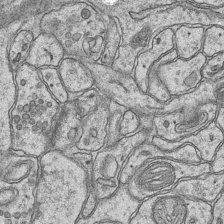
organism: Mouse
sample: CA1 Hippocampus